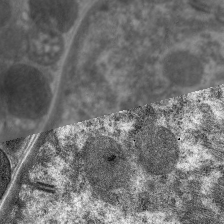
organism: C. elegans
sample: Pharynx